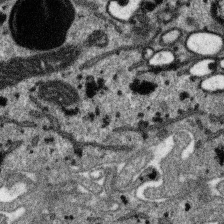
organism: Human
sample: Lung epithelial cells infected with SARS-CoV-2